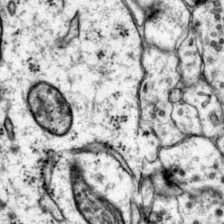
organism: Mouse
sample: Primary visual cortex